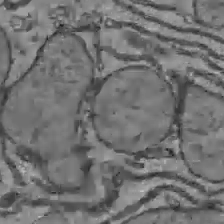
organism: C57BL Mouse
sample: Liver